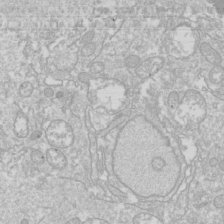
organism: Drosophila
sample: Cell division; meiosis; drosophila spermatocytes